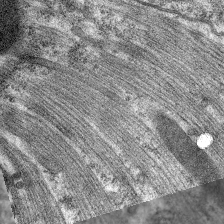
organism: C. elegans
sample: Pharynx